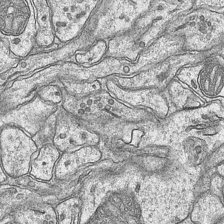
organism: Mouse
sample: CA1 Hippocampus